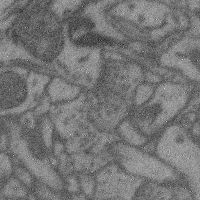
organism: Mouse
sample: Cerebral cortex